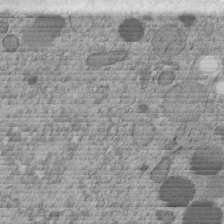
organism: C. elegans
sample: C. elegans embryo early stage